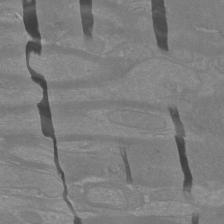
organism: Mouse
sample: Cortical neurons